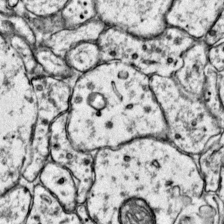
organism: Mouse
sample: Primary visual cortex